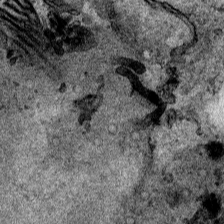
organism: Human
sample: Mitochondria in HCT116 cells